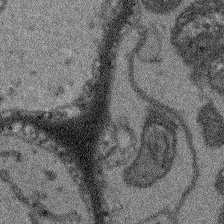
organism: Arabidopsis thaliana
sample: Root tip